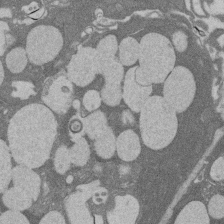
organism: Rat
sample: Salivary granule